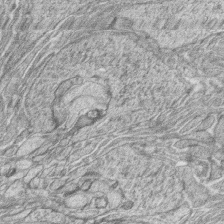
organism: Zebrafish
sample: synaptic ribbons in rod cells and cone cells